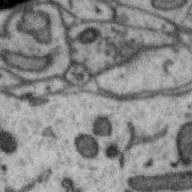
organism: Zebra finch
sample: Brain